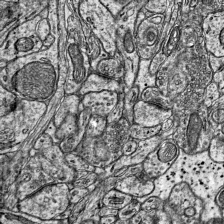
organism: Mouse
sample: Visual Cortex